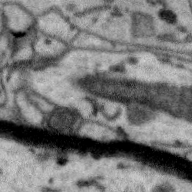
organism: Zebra finch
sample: Brain